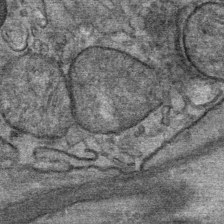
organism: Mouse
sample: Mouse Salivary gland